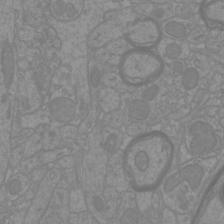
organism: Mouse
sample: Cortical neurons